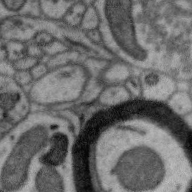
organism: Zebra finch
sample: Brain